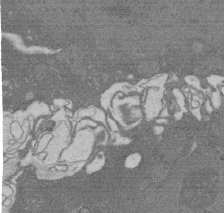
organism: Rat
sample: Salivary granule